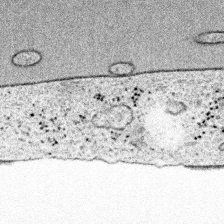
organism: Human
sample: HeLa cells